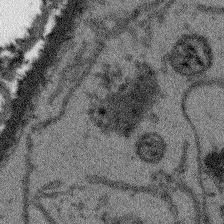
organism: Arabidopsis thaliana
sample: Root tip